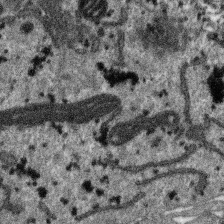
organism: Human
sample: Lung epithelial cells infected with SARS-CoV-2